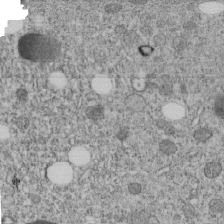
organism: C. elegans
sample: C. elegans embryo early stage